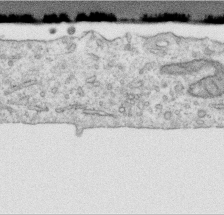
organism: Human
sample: Centriole in RPE cells